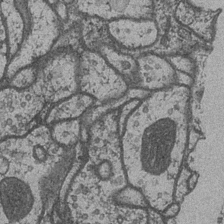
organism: Drosophila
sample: Optic medulla